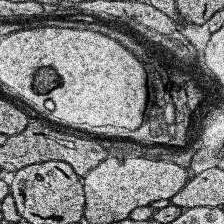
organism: Human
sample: Temporal Lobe